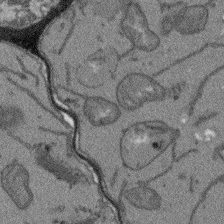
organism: Arabidopsis thaliana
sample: Root tip